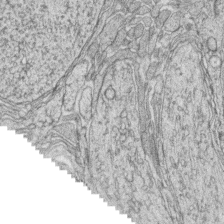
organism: Zebrafish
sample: synaptic ribbons in rod cells and cone cells